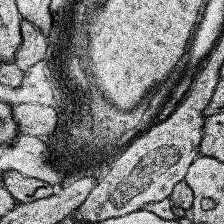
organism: Human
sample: Temporal Lobe